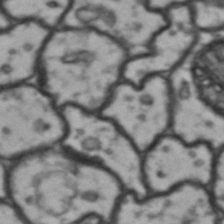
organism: Drosophila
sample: Brain